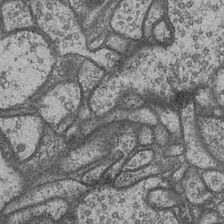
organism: Drosophila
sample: Optic medulla